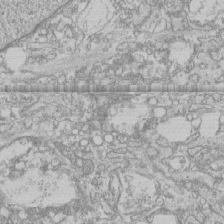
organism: Human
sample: CRL-1474